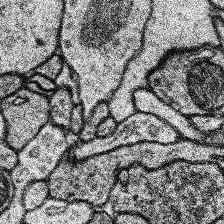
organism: Human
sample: Temporal Lobe